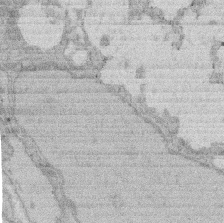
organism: Rat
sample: Salivary granule